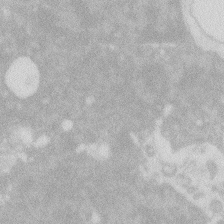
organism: Zebrafish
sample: Macrophage